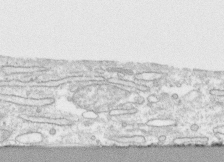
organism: Human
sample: CRL-1474